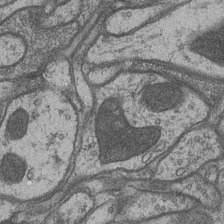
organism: Drosophila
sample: Optic medulla